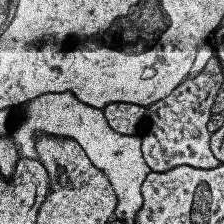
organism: Human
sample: Temporal Lobe